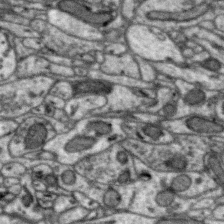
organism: Zebra finch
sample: Brain